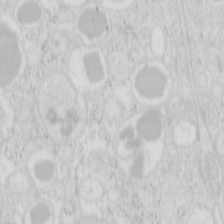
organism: Mouse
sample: Pancreas